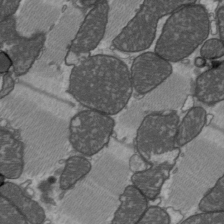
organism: C57BL Mouse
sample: Heart